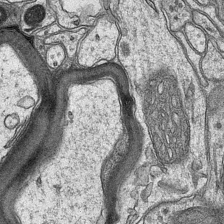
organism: Mouse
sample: CA1 Hippocampus